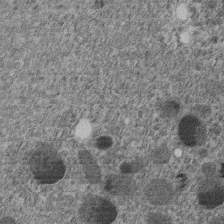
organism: C. elegans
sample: C. elegans embryo early stage